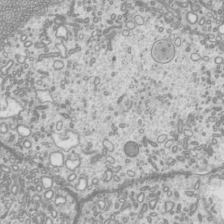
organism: Mouse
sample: Cilia; mouse epididymis